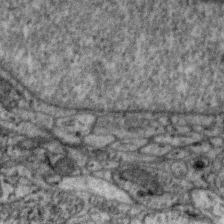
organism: Zebra finch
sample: Brain